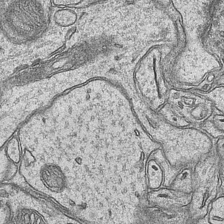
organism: Mouse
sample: CA1 Hippocampus